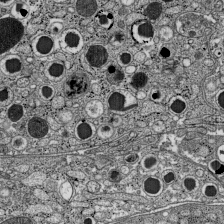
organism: C57BL Mouse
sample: Pancreatic islet